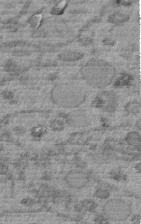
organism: C. elegans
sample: C. elegans embryo early stage